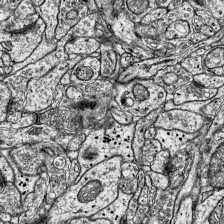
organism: Mouse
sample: Visual Cortex